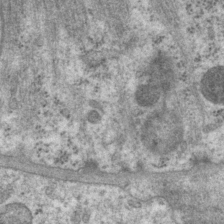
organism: P. pacificus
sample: Pharynx